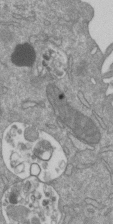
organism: Mouse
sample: ED-1 cell nuclei; centrioles